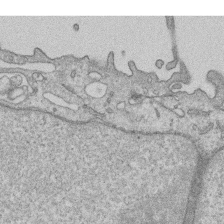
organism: Human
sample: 1205lu cells